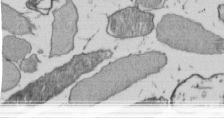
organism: E. coli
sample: Bacterial nucleoid